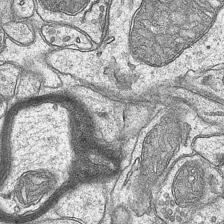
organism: Mouse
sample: CA1 Hippocampus